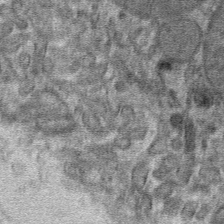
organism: Mouse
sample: Mouse hepatocytes